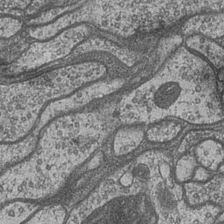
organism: Drosophila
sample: Optic medulla